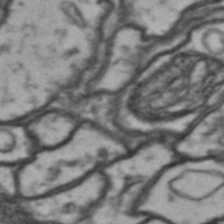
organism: Drosophila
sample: Brain